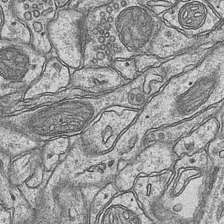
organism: Mouse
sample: CA1 Hippocampus